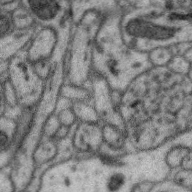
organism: Zebra finch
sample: Brain